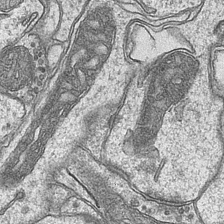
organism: Mouse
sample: CA1 Hippocampus